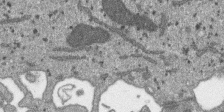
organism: Human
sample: Lung epithelial cells infected with SARS-CoV-2